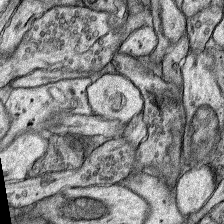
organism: Rat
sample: Hippocampus